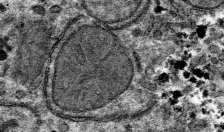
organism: Mouse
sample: Mouse hepatocytes